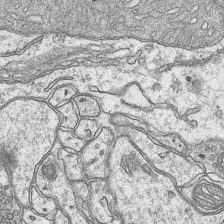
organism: Mouse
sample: CA1 Hippocampus